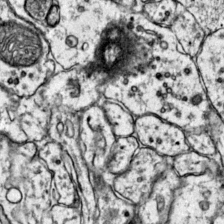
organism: Mouse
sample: Primary visual cortex